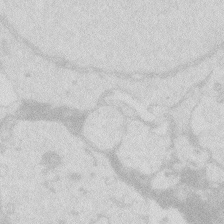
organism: Zebrafish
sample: Macrophage